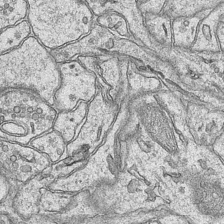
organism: Mouse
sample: CA1 Hippocampus